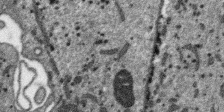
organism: Human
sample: Lung epithelial cells infected with SARS-CoV-2